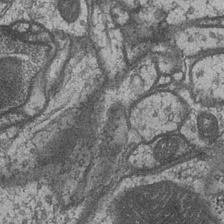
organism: Drosophila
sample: Optic medulla